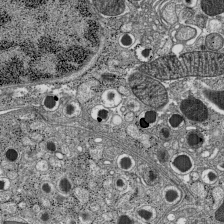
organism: C57BL Mouse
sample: Pancreatic islet